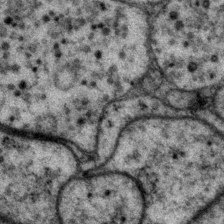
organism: P. pacificus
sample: Pharynx